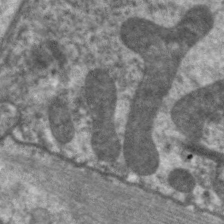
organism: C. elegans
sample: Pharynx